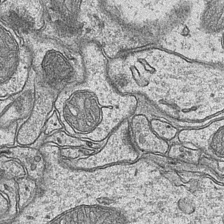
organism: Mouse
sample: CA1 Hippocampus